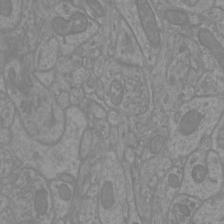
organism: Mouse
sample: Cortical neurons